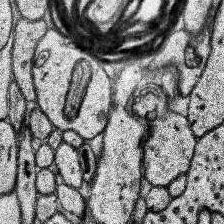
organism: Human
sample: Temporal Lobe